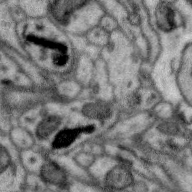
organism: Zebra finch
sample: Brain